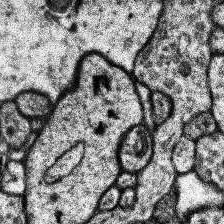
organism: Human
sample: Temporal Lobe